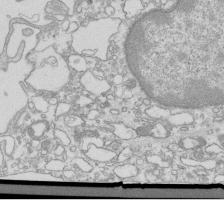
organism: Mouse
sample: Macrophages